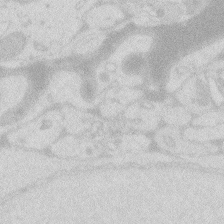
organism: Zebrafish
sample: Macrophage